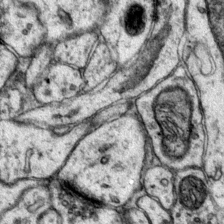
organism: Mouse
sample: Primary visual cortex